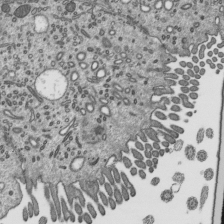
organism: Mouse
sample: Mouse epididymis efferent ductule cilia